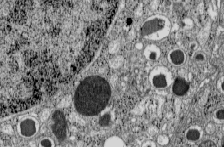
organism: C57BL Mouse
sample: Pancreatic islet